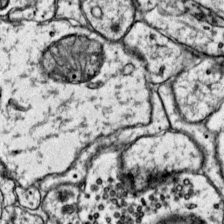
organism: Mouse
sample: Primary visual cortex